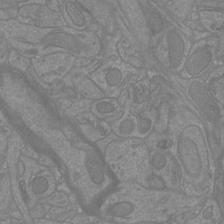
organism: Mouse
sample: Cortical neurons